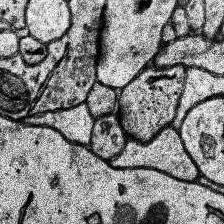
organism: Human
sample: Temporal Lobe